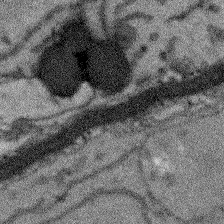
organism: Arabidopsis thaliana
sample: Root tip